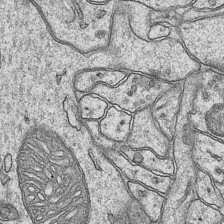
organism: Mouse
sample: CA1 Hippocampus